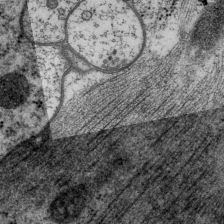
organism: P. pacificus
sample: Pharynx